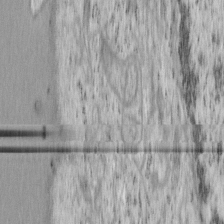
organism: Human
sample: HeLa cells